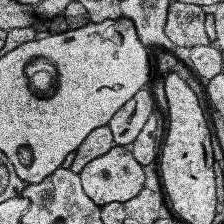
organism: Human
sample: Temporal Lobe